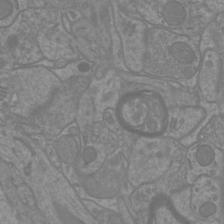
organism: Mouse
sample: Cortical neurons